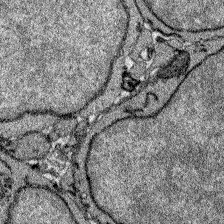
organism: Zebrafish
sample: Larval olfactory bulb